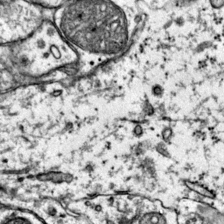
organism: Mouse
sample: Primary visual cortex